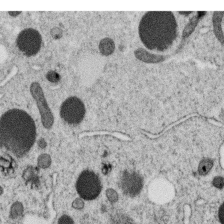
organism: C. elegans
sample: C. elegans oocyte; sperm cells